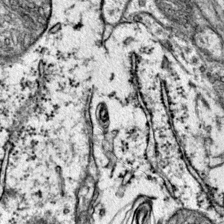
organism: Mouse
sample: Primary visual cortex